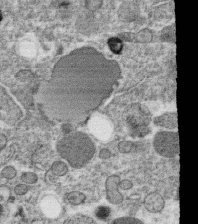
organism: C. elegans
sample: C. elegans oocyte; sperm cells